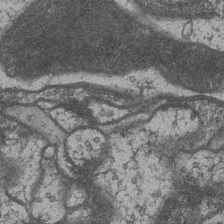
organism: Drosophila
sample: Optic medulla